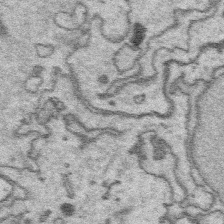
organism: Platynereis dumerilii